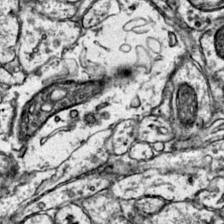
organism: Mouse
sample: Primary visual cortex